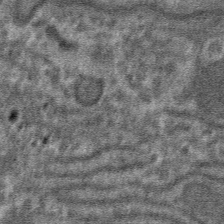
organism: Mouse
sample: Mouse hepatocytes